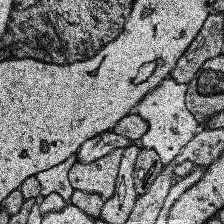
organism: Human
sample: Temporal Lobe